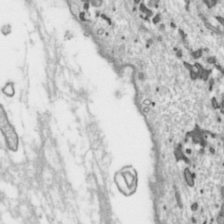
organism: Toxoplasma gondii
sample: Parasites in a vacuole inside a host cell